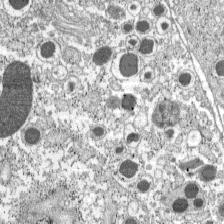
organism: C57BL Mouse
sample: Pancreatic islet